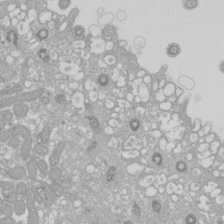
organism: Xenopus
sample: Cilia; centrioles in frog embryo cells